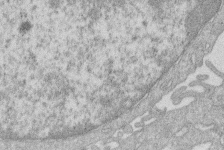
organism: Human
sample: Macrophage cells